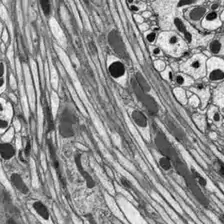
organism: Drosophila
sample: Optic lobe